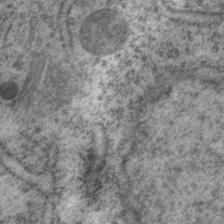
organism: P. pacificus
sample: Pharynx